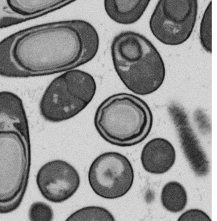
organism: B. subtilis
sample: Bacterial spore